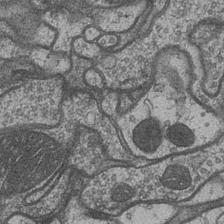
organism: Drosophila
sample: Optic medulla